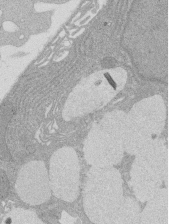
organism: Rat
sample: Salivary granule